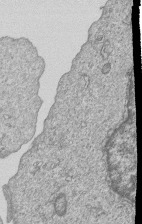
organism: Human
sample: MDA-MB-231 cells